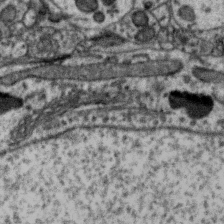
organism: Zebra finch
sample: Brain